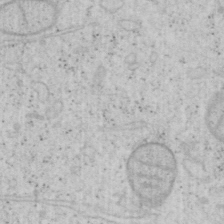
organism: Human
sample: HeLa cells